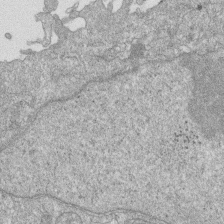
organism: Human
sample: HeLa cell HIV synapse